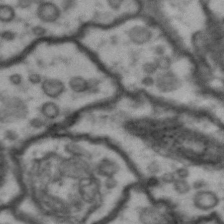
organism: Drosophila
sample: Brain